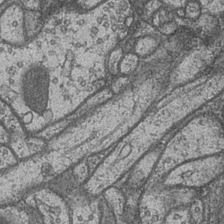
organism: Drosophila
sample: Optic medulla